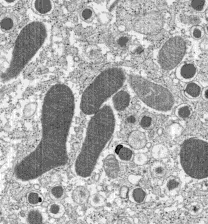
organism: C57BL Mouse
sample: Pancreatic islet